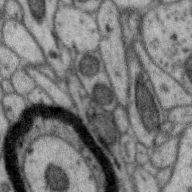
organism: Zebra finch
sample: Brain